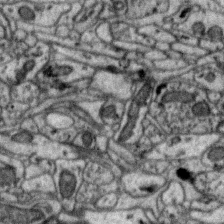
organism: Zebra finch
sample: Brain